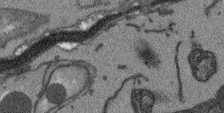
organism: Arabidopsis thaliana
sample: Root tip